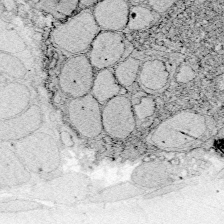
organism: Zebrafish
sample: Whole-Brain